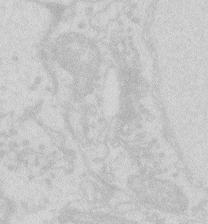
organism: Zebrafish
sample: Macrophage